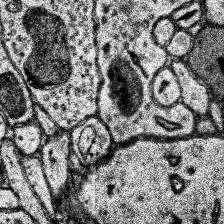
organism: Human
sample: Temporal Lobe